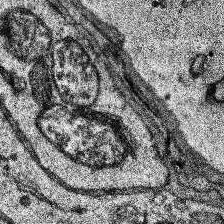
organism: Human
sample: Temporal Lobe